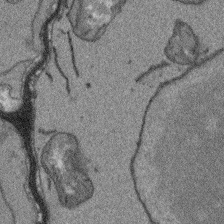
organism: Arabidopsis thaliana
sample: Root tip